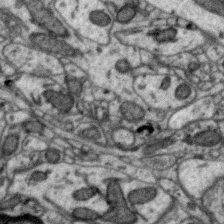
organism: Zebra finch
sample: Brain